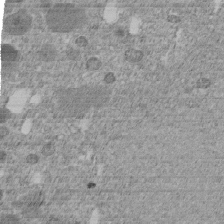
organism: C. elegans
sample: C. elegans embryo early stage